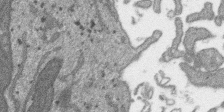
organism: Human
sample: Lung epithelial cells infected with SARS-CoV-2